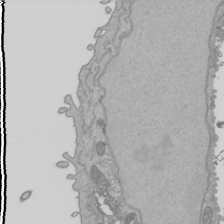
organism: Human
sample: Mitochondria in HCT116 cells